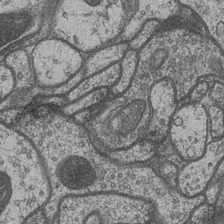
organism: Drosophila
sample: Optic medulla